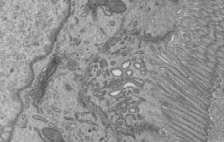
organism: Mouse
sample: Mouse epididymis efferent ductule cilia